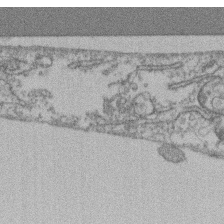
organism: Mouse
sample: T cell stromal cell synapse